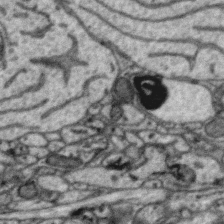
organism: Zebra finch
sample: Brain